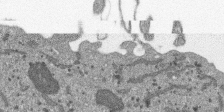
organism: Human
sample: Lung epithelial cells infected with SARS-CoV-2